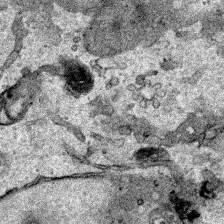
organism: Human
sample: Mitochondria in HCT116 cells